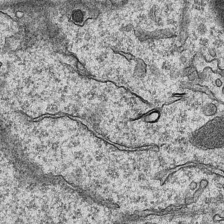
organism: Mouse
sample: CA1 Hippocampus